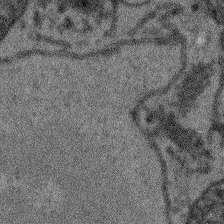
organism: Arabidopsis thaliana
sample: Root tip